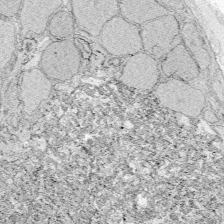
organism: Zebrafish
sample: Whole-Brain